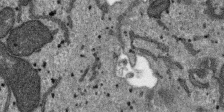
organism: Human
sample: Lung epithelial cells, uninfected (mock) control